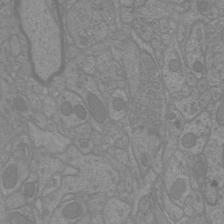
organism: Mouse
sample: Cortical neurons